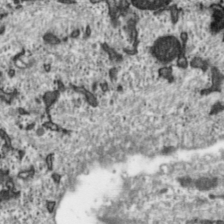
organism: Toxoplasma gondii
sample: Parasites in a vacuole inside a host cell